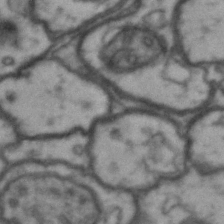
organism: Drosophila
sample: Brain